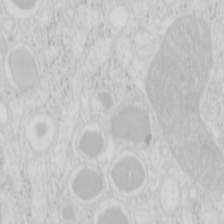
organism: Mouse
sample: Pancreas